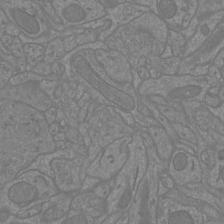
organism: Mouse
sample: Cortical neurons